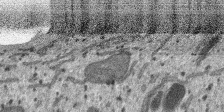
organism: Human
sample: Lung epithelial cells infected with SARS-CoV-2